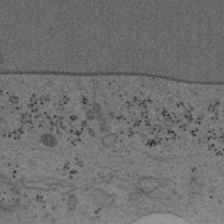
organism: Human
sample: HeLa cells